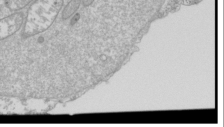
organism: Drosophila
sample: Cell division; meiosis; drosophila spermatocytes